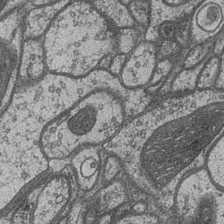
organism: Drosophila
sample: Optic medulla